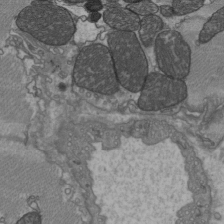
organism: C57BL Mouse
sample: Heart